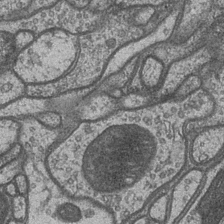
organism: Drosophila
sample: Optic medulla